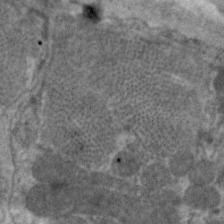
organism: C. elegans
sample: Pharynx